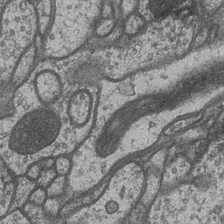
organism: Drosophila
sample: Optic medulla